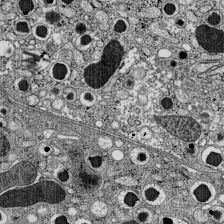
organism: C57BL Mouse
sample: Pancreatic islet